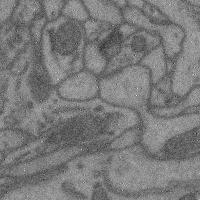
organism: Mouse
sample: Cerebral cortex